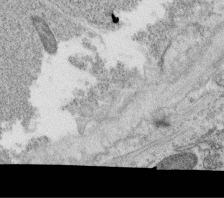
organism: C. elegans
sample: C. elegans oocyte; sperm cells